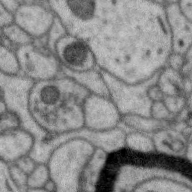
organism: Zebra finch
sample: Brain